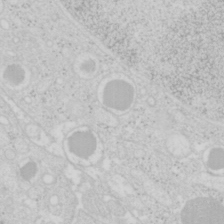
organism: Mouse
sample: Pancreas